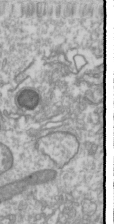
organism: Drosophila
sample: Cell division; meiosis; drosophila spermatocytes